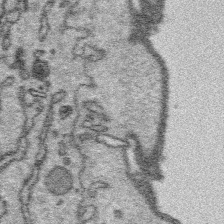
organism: Platynereis dumerilii